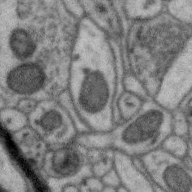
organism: Zebra finch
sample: Brain